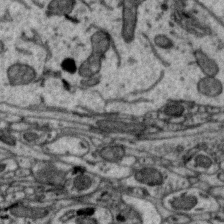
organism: Zebra finch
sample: Brain